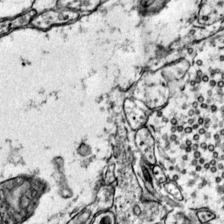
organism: Mouse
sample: Primary visual cortex